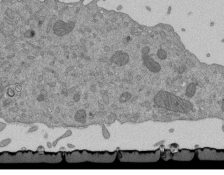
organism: Mouse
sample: ED-1 cell nuclei; centrioles